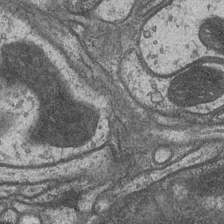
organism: Drosophila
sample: Optic medulla